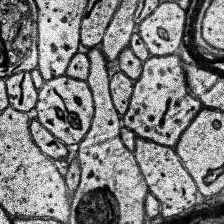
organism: Human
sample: Temporal Lobe